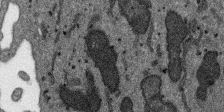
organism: Human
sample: Lung epithelial cells infected with SARS-CoV-2